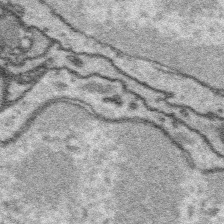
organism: Platynereis dumerilii